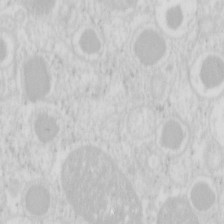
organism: Mouse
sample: Pancreas